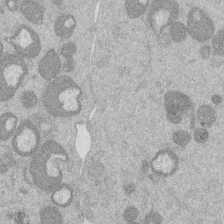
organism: Mouse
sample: Dividing mouse embryo 1 cell stage